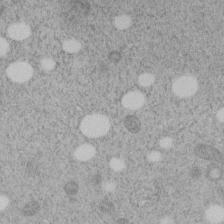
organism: C. elegans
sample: C. elegans embryo early stage